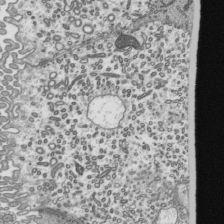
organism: Mouse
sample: Mouse epididymis efferent ductule cilia